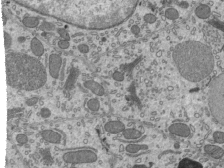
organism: Mouse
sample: Mouse epididymis efferent ductule cilia